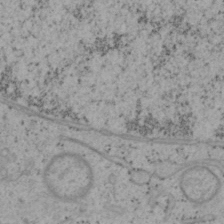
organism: Human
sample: HeLa cells